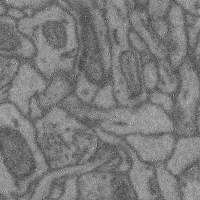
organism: Mouse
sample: Cerebral cortex